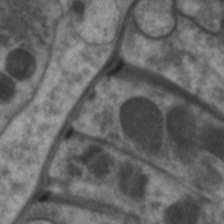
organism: C. elegans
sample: Pharynx